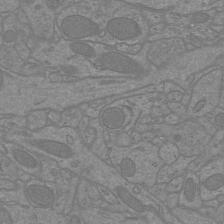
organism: Mouse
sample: Cortical neurons